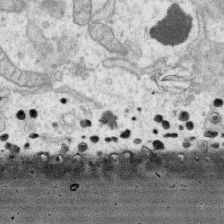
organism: Human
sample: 1205lu cells